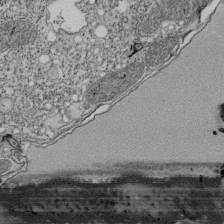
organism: Tetrahymena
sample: Cilia in tetrahymena